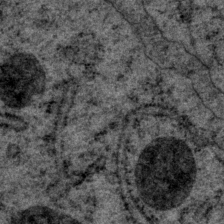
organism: P. pacificus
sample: Pharynx